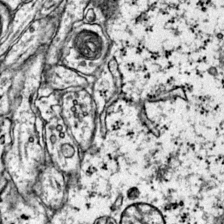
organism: Mouse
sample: Primary visual cortex